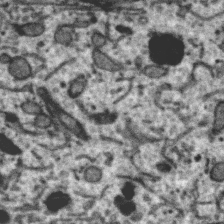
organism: Zebra finch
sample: Brain